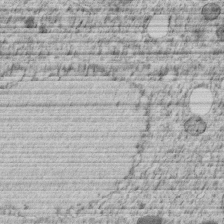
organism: C. elegans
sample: C. elegans embryo early stage